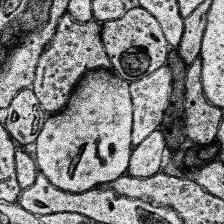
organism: Human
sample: Temporal Lobe